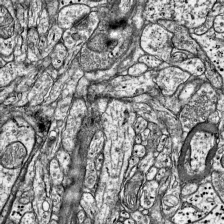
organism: Mouse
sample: Visual Cortex